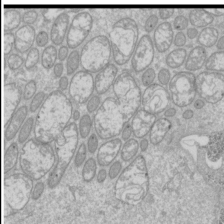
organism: Drosophila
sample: Cell division; meiosis; drosophila spermatocytes